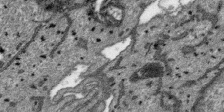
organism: Human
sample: Lung epithelial cells, uninfected (mock) control